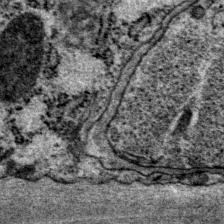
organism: P. pacificus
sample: Pharynx